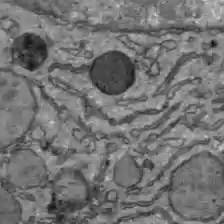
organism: C57BL Mouse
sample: Liver